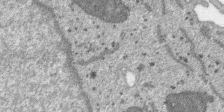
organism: Human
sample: Lung epithelial cells infected with SARS-CoV-2